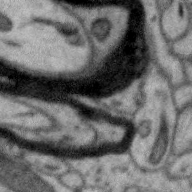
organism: Zebra finch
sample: Brain